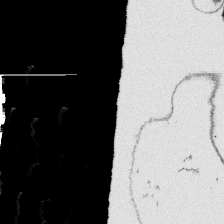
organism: Platynereis dumerilii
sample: Parapodia